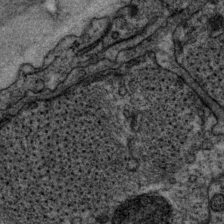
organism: P. pacificus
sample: Pharynx